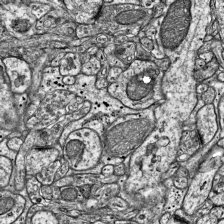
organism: Mouse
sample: Visual Cortex